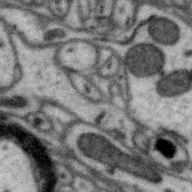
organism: Zebra finch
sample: Brain